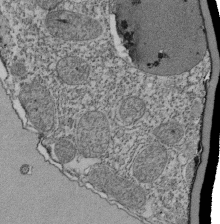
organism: Tetrahymena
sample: Cilia in tetrahymena